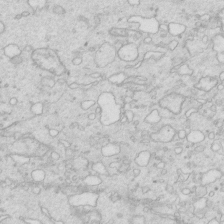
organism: Mouse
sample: Multiciliated cells